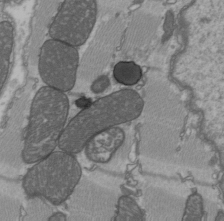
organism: C57BL Mouse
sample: Heart